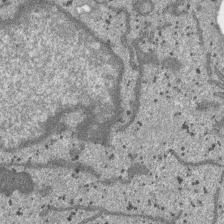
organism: Human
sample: Lung epithelial cells infected with SARS-CoV-2